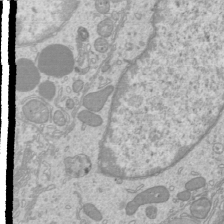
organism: Mouse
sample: Cilia; mouse epididymis